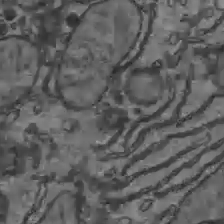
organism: C57BL Mouse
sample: Liver